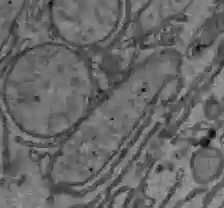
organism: C57BL Mouse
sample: Liver